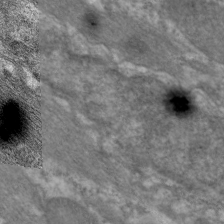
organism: C. elegans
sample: Pharynx